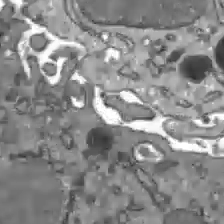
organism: C57BL Mouse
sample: Liver